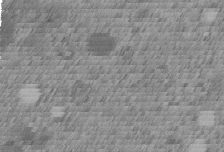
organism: C. elegans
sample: C. elegans embryo early stage